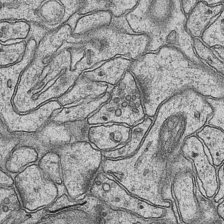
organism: Mouse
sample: CA1 Hippocampus